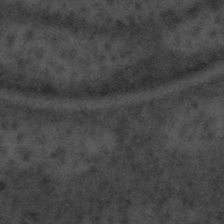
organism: Tuwongella immobilis